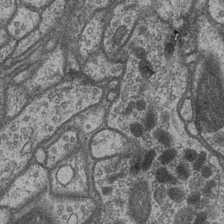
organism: Drosophila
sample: Optic medulla